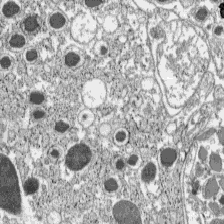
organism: C57BL Mouse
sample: Pancreatic islet